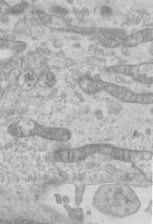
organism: Mouse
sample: Centriole in ependymal cells